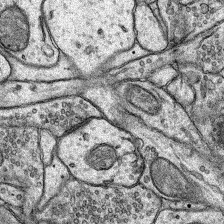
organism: Rat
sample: Hippocampus